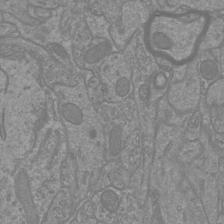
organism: Mouse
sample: Cortical neurons